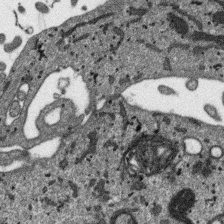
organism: Human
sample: Lung epithelial cells infected with SARS-CoV-2